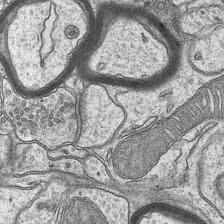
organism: Mouse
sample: CA1 Hippocampus